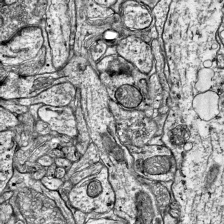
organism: Mouse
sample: Visual Cortex